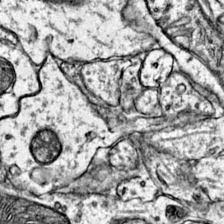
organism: Mouse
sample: Primary visual cortex